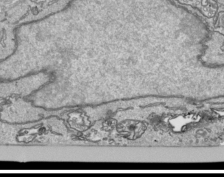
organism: Human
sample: Mitochondria in HCT116 cells